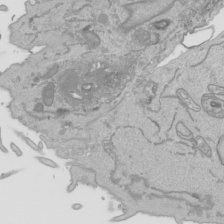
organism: Human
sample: Mitochondria in HCT116 cells